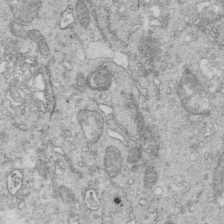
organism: Mouse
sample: Multiciliated cells